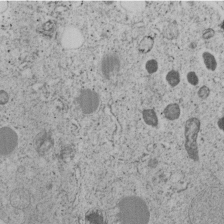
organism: C. elegans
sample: C. elegans embryo early stage